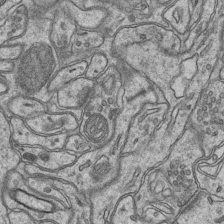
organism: Mouse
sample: CA1 Hippocampus